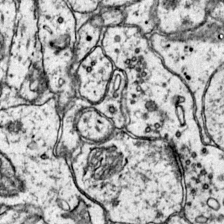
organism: Mouse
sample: Primary visual cortex